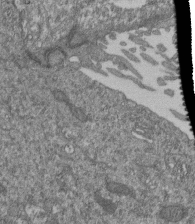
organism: Human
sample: Retinal organoid Rod and Cone cells